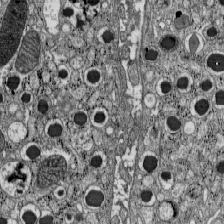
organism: C57BL Mouse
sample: Pancreatic islet